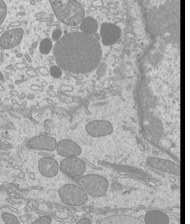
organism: Mouse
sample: Cilia; mouse epididymis